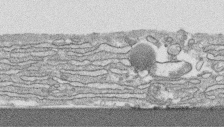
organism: Human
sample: CRL-1474